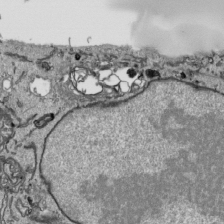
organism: Human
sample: Mitochondria in HCT116 cells